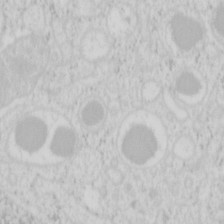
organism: Mouse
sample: Pancreas